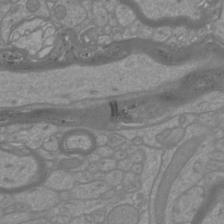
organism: Mouse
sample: Cortical neurons